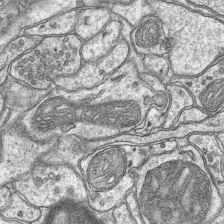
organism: Mouse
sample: CA1 Hippocampus